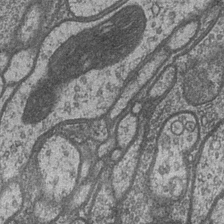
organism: Drosophila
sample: Optic medulla